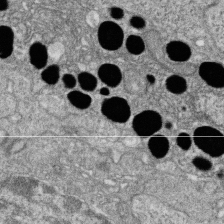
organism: Zebrafish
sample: Cilia; retinal pigment epithelium